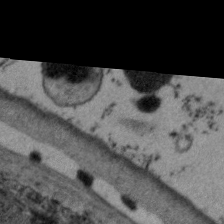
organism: C. elegans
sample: Pharynx